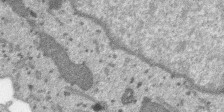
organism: Human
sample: Lung epithelial cells infected with SARS-CoV-2